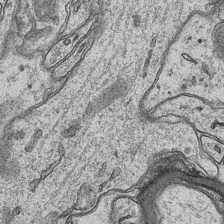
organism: Mouse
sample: CA1 Hippocampus